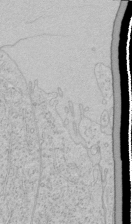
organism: Human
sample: Mitochondria in HCT116 cells